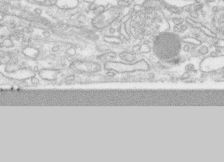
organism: Human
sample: CRL-1474